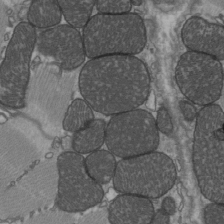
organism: C57BL Mouse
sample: Heart